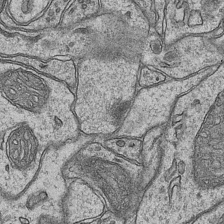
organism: Mouse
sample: CA1 Hippocampus